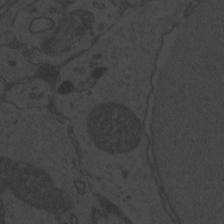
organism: Zebrafish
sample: Macrophage infected with Toxoplasma gondii